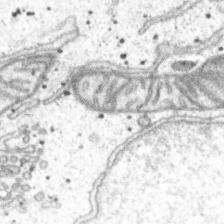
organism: Human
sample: HeLa cells